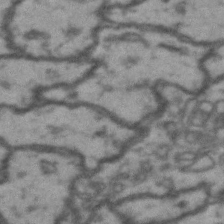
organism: Drosophila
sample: Brain